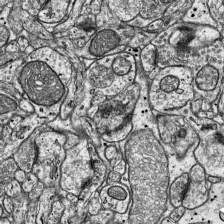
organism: Mouse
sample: Visual Cortex